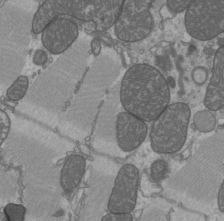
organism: C57BL Mouse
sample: Heart